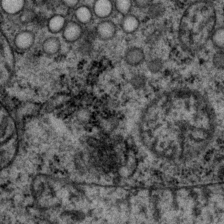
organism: P. pacificus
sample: Pharynx